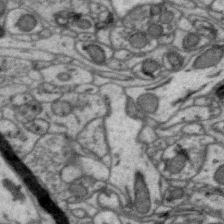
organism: Zebra finch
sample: Brain